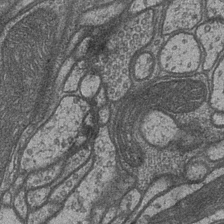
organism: Drosophila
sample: Optic medulla